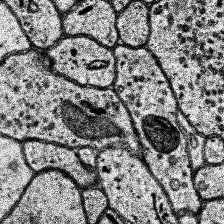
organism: Human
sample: Temporal Lobe